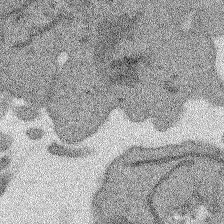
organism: Human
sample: HeLa cells